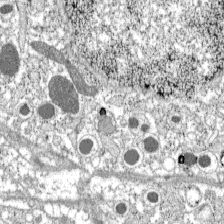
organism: C57BL Mouse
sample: Pancreatic islet